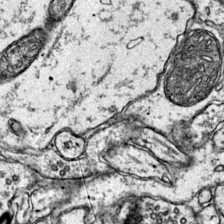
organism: Mouse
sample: Primary visual cortex